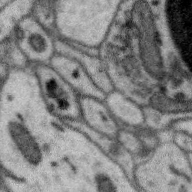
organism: Zebra finch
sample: Brain